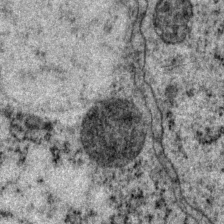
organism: P. pacificus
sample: Pharynx